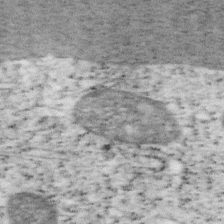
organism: Mouse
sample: OT-I killer T cells with ID8 ovarian cancer cells